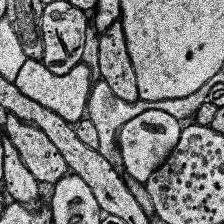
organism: Human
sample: Temporal Lobe